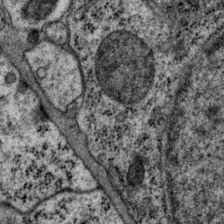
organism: P. pacificus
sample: Pharynx